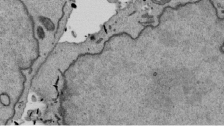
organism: Mouse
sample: ED-1 cell nuclei; centrioles